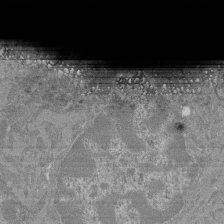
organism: Mouse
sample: Glomerulus